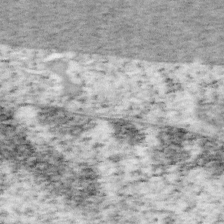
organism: Mouse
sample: OT-I killer T cells with ID8 ovarian cancer cells